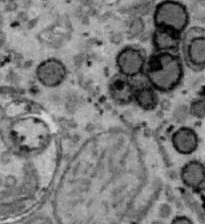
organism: Mouse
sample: Liver from an obese (ob/ob) mouse